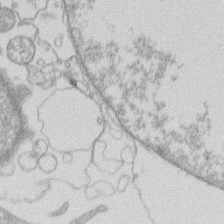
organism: Human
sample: Macrophage cells